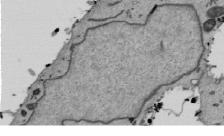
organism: Mouse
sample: ED-1 cell nuclei; centrioles